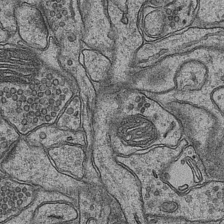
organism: Mouse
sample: CA1 Hippocampus